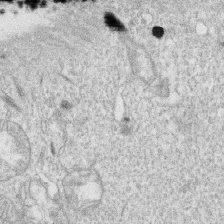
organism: Human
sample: HeLa cell HIV synapse